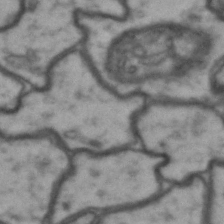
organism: Drosophila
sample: Brain